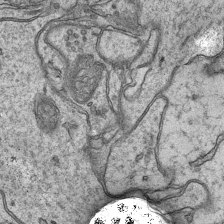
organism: Mouse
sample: CA1 Hippocampus